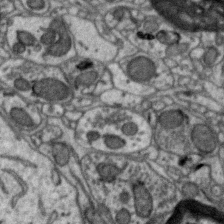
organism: Zebra finch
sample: Brain